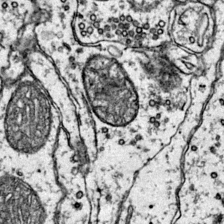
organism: Mouse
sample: Primary visual cortex